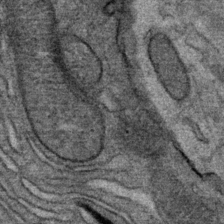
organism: Mouse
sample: Mouse Salivary gland